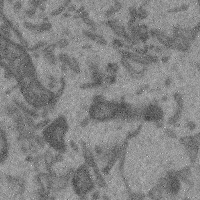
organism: Mouse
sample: Cerebral cortex